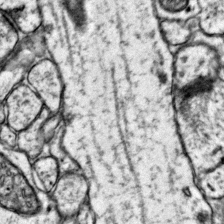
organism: Mouse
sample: Primary visual cortex